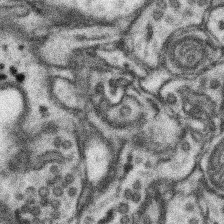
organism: Mouse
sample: Somatosensory cortex neuropil